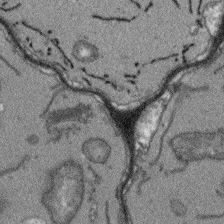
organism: Arabidopsis thaliana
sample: Root tip